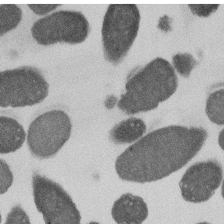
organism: E. coli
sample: Bacterial nucleoid